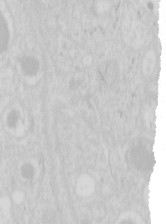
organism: Mouse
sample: Pancreas